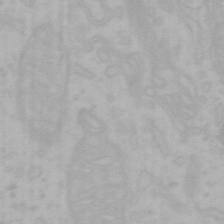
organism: Mouse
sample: Choroid plexus